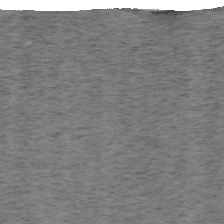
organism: Mouse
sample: OT-I killer T cells with ID8 ovarian cancer cells